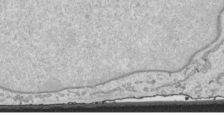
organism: Human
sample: Mitochondria in HCT116 cells